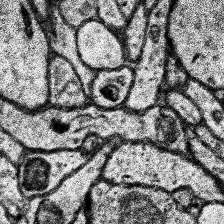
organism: Human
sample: Temporal Lobe